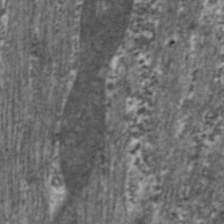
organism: C. elegans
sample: Pharynx